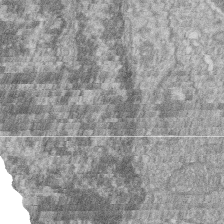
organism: Zebrafish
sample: Cilia; retinal pigment epithelium